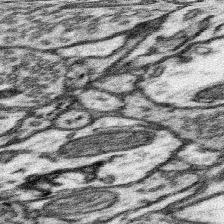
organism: Mouse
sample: Somatosensory cortex neuropil